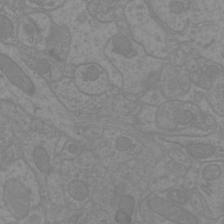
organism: Mouse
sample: Cortical neurons